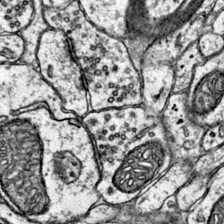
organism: Mouse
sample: Primary visual cortex